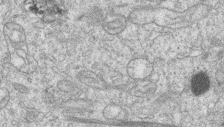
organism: Human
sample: HeLa cell HIV synapse